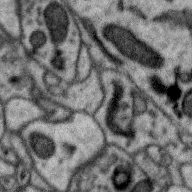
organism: Zebra finch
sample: Brain